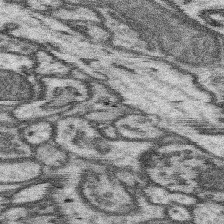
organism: Mouse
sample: Somatosensory cortex neuropil